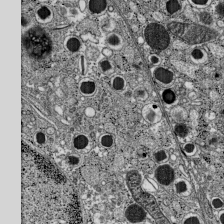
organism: C57BL Mouse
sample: Pancreatic islet